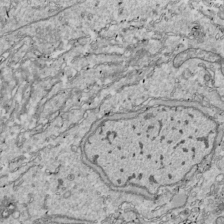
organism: Drosophila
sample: Cell division; meiosis; drosophila spermatocytes